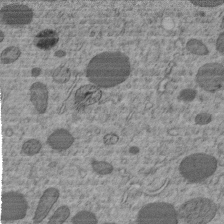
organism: C. elegans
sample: C. elegans embryo early stage